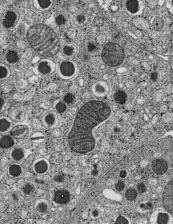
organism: C57BL Mouse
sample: Pancreatic islet